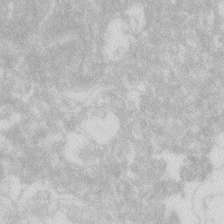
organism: Zebrafish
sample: Macrophage